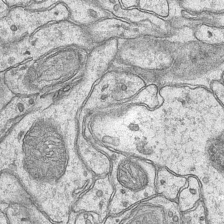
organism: Mouse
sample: CA1 Hippocampus